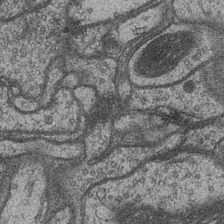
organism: Drosophila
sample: Optic medulla